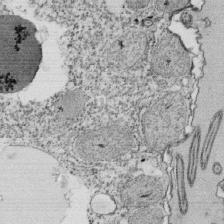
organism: Tetrahymena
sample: Cilia in tetrahymena